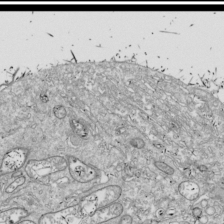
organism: Drosophila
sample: Cell division; meiosis; drosophila spermatocytes